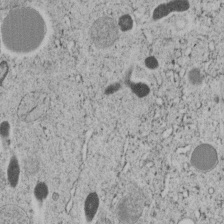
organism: C. elegans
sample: C. elegans embryo early stage